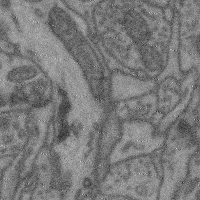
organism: Mouse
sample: Cerebral cortex